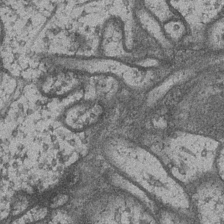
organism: Drosophila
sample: Optic medulla